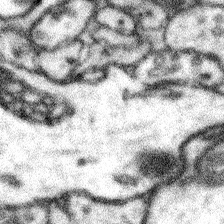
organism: Mouse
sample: Somatosensory cortex neuropil